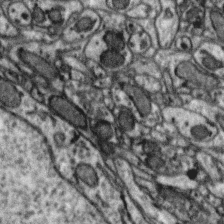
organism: Zebra finch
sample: Brain